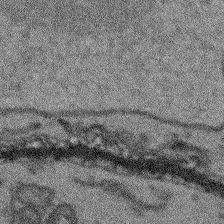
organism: Arabidopsis thaliana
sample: Root tip